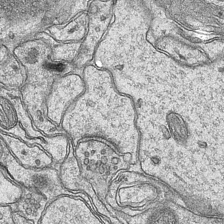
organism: Mouse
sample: CA1 Hippocampus